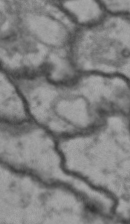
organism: Drosophila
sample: Brain